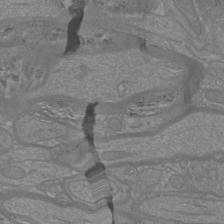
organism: Mouse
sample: Cortical neurons